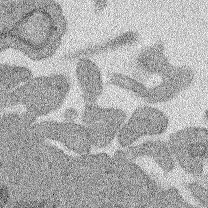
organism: Human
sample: HeLa cells